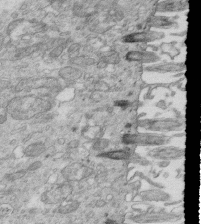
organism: Mouse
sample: Multiciliated cells